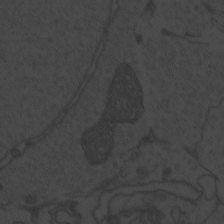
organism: Zebrafish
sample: Macrophage infected with Toxoplasma gondii